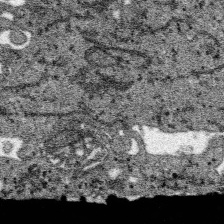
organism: Human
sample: Lung epithelial cells, uninfected (mock) control